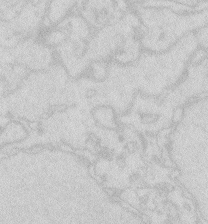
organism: Zebrafish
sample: Macrophage